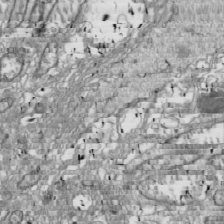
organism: Drosophila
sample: Cell division; meiosis; drosophila spermatocytes